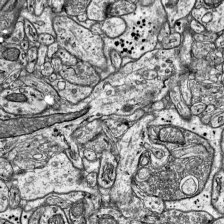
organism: Mouse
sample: Visual Cortex